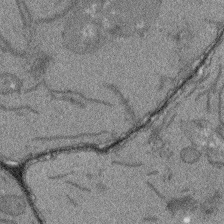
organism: Arabidopsis thaliana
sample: Root tip